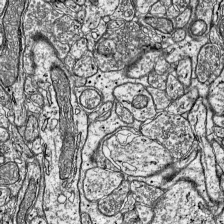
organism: Mouse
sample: Visual Cortex